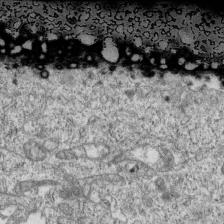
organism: Human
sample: HeLa cell HIV synapse